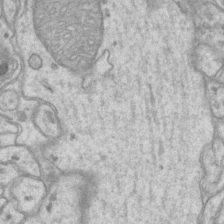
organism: Mouse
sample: CA1 Hippocampus